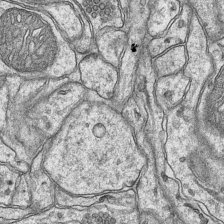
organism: Mouse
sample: CA1 Hippocampus